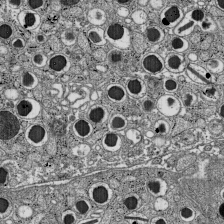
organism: C57BL Mouse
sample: Pancreatic islet